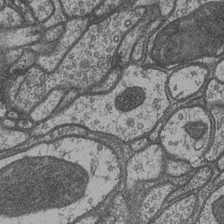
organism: Drosophila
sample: Optic medulla